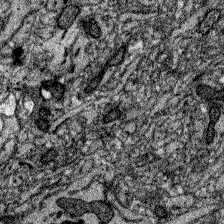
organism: Zebrafish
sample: Larval olfactory bulb